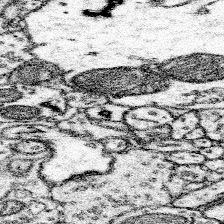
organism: Mouse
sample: Somatosensory cortex neuropil